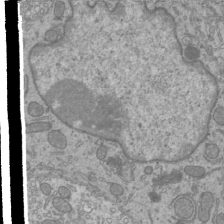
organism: Mouse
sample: Cilia; mouse epididymis